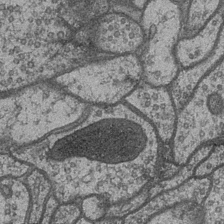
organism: Drosophila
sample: Optic medulla